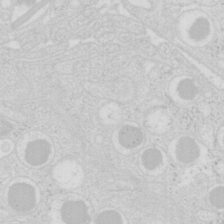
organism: Mouse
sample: Pancreas